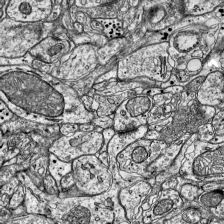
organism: Mouse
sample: Visual Cortex